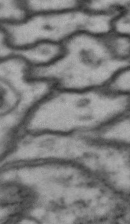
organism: Drosophila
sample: Brain